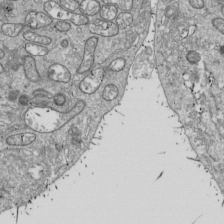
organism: Drosophila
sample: Cell division; meiosis; drosophila spermatocytes